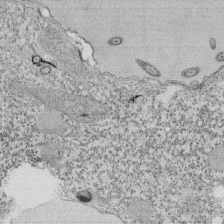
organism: Tetrahymena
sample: Cilia in tetrahymena